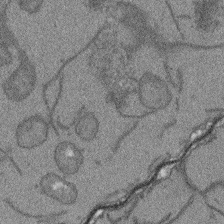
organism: Arabidopsis thaliana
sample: Root tip